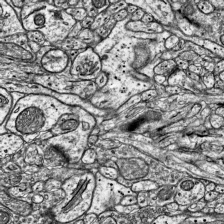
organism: Mouse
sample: Visual Cortex